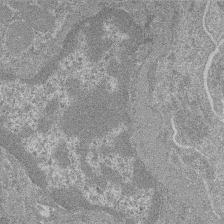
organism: Mouse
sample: Glomerulus